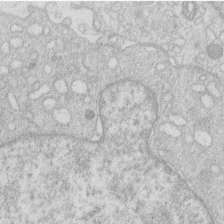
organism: Human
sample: Macrophage cells